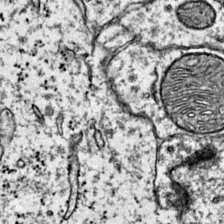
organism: Mouse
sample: Primary visual cortex